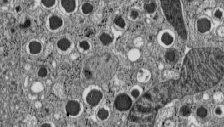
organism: C57BL Mouse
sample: Pancreatic islet